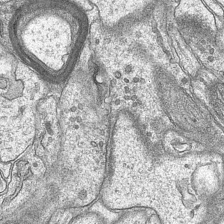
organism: Mouse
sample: CA1 Hippocampus